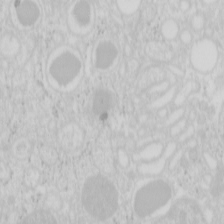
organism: Mouse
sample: Pancreas